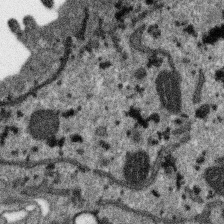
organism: Human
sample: Lung epithelial cells infected with SARS-CoV-2